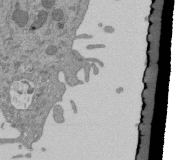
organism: Mouse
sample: ED-1 cell nuclei; centrioles